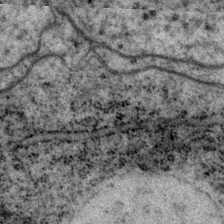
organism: P. pacificus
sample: Pharynx